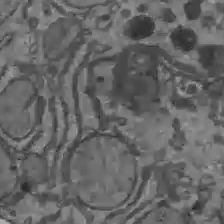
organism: C57BL Mouse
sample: Liver